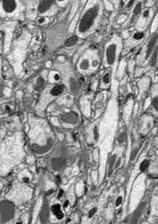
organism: Drosophila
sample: Optic lobe